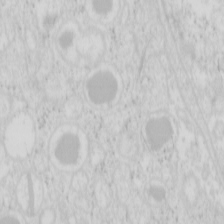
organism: Mouse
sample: Pancreas